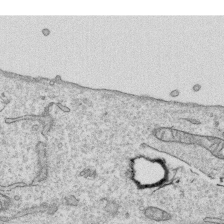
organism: Human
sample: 1205lu cells